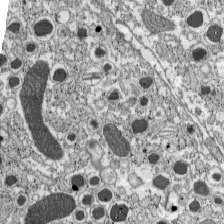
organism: C57BL Mouse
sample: Pancreatic islet